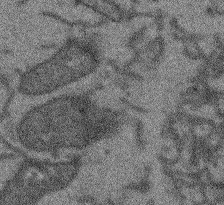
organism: Arabidopsis thaliana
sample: Root tip